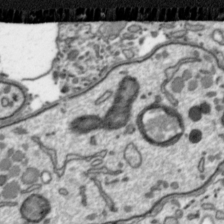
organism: Toxoplasma gondii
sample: Parasites in a vacuole inside a host cell